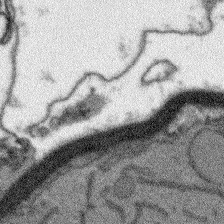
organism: Arabidopsis thaliana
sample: Root tip